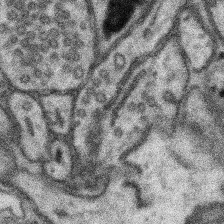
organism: Mouse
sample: Somatosensory cortex neuropil